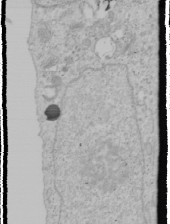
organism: Human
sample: Mitochondria in U2OS cells